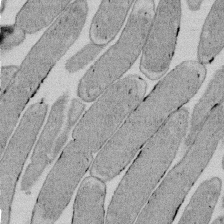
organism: E. coli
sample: Bacterial nucleoid